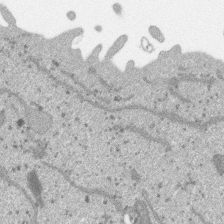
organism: Human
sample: Lung epithelial cells infected with SARS-CoV-2